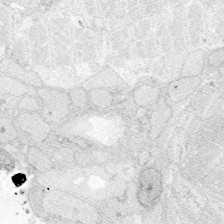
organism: Zebrafish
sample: Whole-Brain